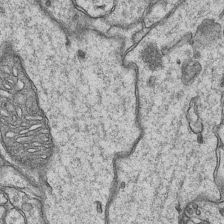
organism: Mouse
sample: CA1 Hippocampus